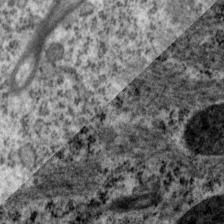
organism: P. pacificus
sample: Pharynx